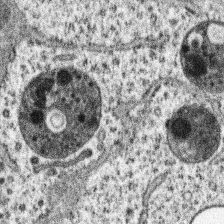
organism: Human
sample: HeLa cells